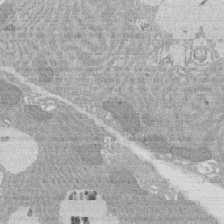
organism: Rat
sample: Salivary granule